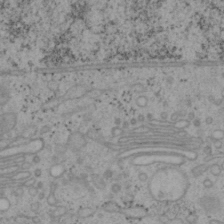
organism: Human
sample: HeLa cells